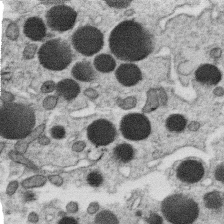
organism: C. elegans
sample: C. elegans oocyte; sperm cells